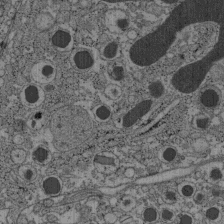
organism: C57BL Mouse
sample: Pancreatic islet